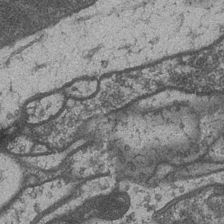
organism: Drosophila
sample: Optic medulla